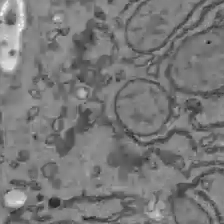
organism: C57BL Mouse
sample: Liver